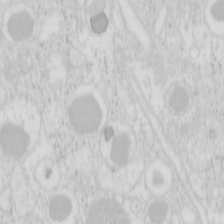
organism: Mouse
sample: Pancreas